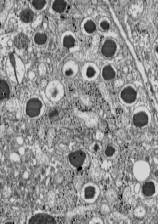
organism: C57BL Mouse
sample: Pancreatic islet